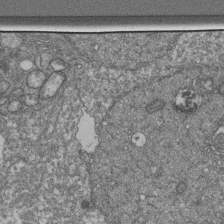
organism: Human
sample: Retinal organoid Rod and Cone cells